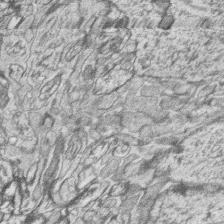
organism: Zebrafish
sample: synaptic ribbons in rod cells and cone cells